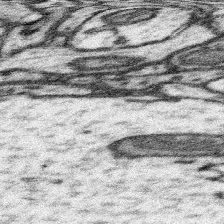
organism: Mouse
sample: Somatosensory cortex neuropil